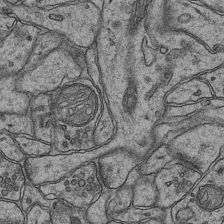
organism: Mouse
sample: CA1 Hippocampus